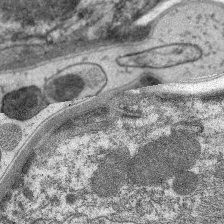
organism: C. elegans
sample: Pharynx